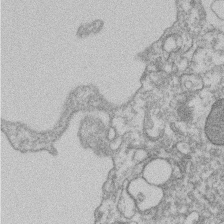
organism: Mouse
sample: T cell stromal cell synapse